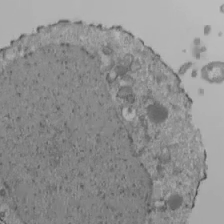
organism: Human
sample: Jurkat E6-1 and CD4 cells